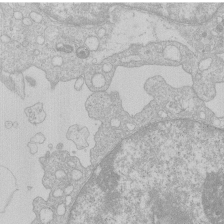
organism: Human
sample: Macrophage cells